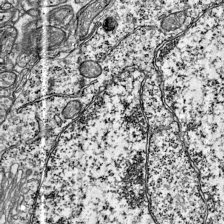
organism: Mouse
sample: Visual Cortex